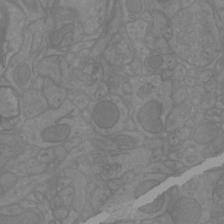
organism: Mouse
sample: Cortical neurons